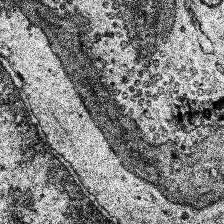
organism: Human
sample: Temporal Lobe